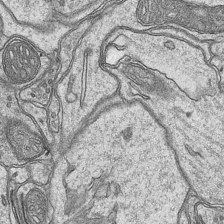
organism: Mouse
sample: CA1 Hippocampus